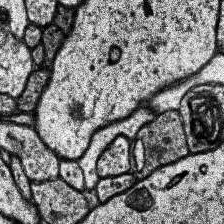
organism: Human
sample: Temporal Lobe